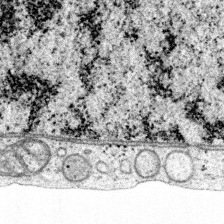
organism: Human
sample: HeLa cells